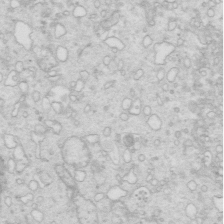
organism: Mouse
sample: Multiciliated cells